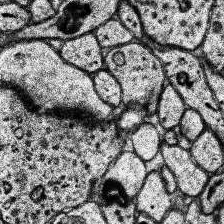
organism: Human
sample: Temporal Lobe